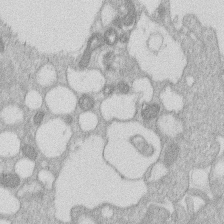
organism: Human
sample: Macrophage cells